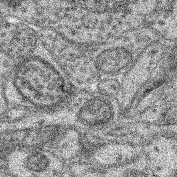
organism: Mouse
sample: Retina